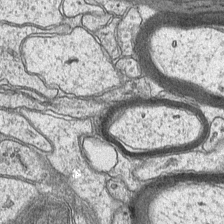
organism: Mouse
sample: CA1 Hippocampus